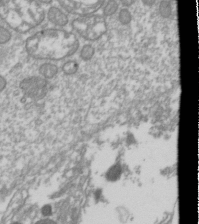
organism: Drosophila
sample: Cell division; meiosis; drosophila spermatocytes